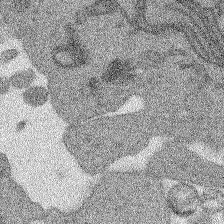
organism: Human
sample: HeLa cells